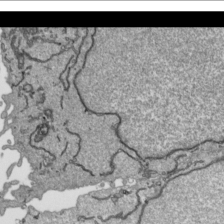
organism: Human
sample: Mitochondria in HCT116 cells